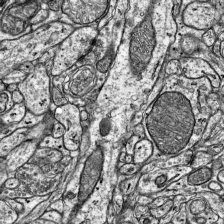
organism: Mouse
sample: Visual Cortex